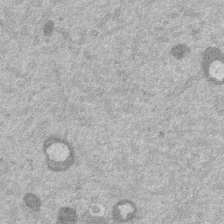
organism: Mouse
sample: Dividing mouse embryo 1 cell stage